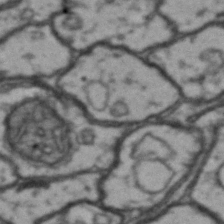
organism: Drosophila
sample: Brain